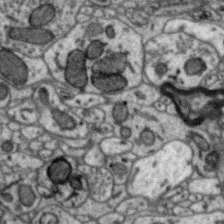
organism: Zebra finch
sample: Brain